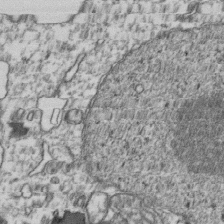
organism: Human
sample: Activated Jurkat CD4+ T cells